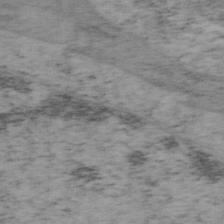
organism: Mouse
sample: OT-I killer T cells with ID8 ovarian cancer cells